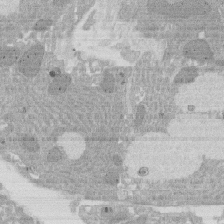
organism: Rat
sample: Salivary granule